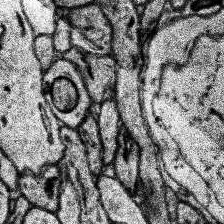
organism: Human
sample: Temporal Lobe